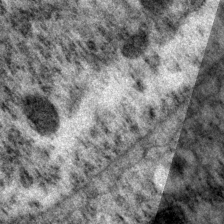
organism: P. pacificus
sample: Pharynx